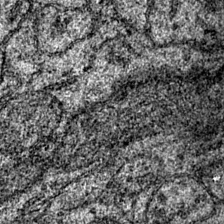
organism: Mouse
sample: Primary visual cortex